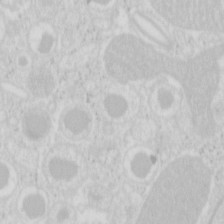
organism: Mouse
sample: Pancreas